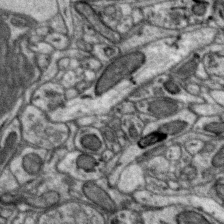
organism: Zebra finch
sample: Brain